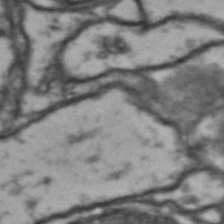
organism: Drosophila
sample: Brain